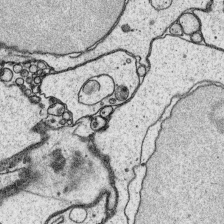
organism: Platynereis dumerilii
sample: Parapodia